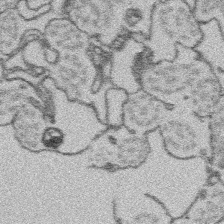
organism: Platynereis dumerilii